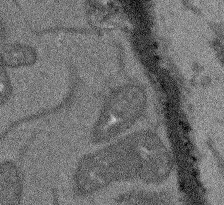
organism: Arabidopsis thaliana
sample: Root tip